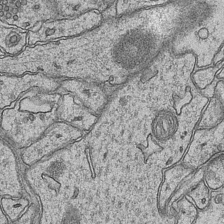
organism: Mouse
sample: CA1 Hippocampus